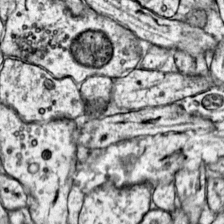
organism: Mouse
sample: Primary visual cortex